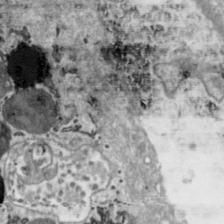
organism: Toxoplasma gondii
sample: Parasites in a vacuole inside a host cell